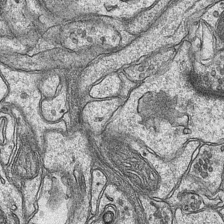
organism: Mouse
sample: CA1 Hippocampus